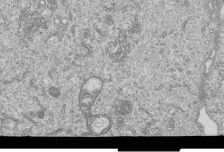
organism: Human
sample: MDA-MB-231 cells